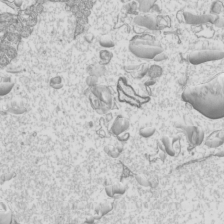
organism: Mouse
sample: Cilia; mouse epididymis